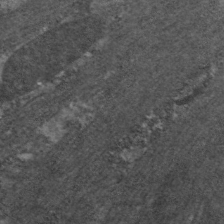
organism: C. elegans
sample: Pharynx